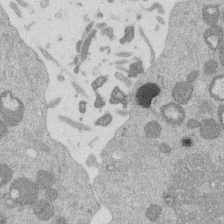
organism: Mouse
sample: Dividing mouse embryo 1 cell stage